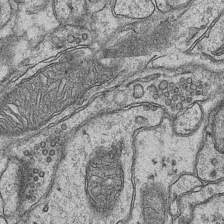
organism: Mouse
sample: CA1 Hippocampus